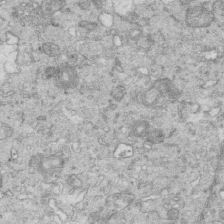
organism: Mouse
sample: Multiciliated cells